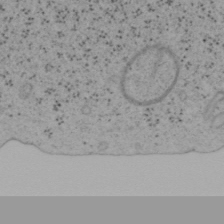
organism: Human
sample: HeLa cells